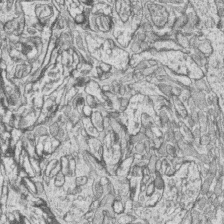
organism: Zebrafish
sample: synaptic ribbons in rod cells and cone cells